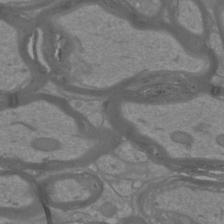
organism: Mouse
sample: Cortical neurons